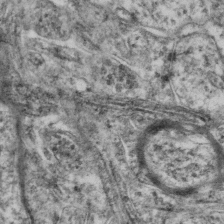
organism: Mouse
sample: Neocortex